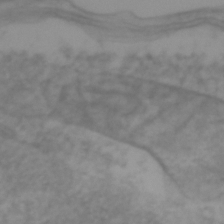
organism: Zebrafish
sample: Zebrafish embryo